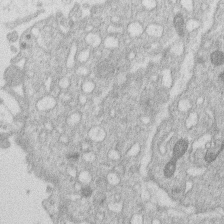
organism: Human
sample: Macrophage cells